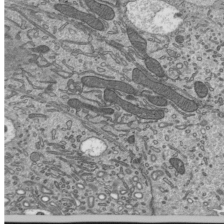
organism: Mouse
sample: Mouse epididymis efferent ductule cilia